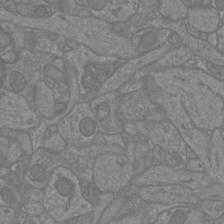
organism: Mouse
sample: Cortical neurons